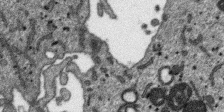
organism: Human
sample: Lung epithelial cells infected with SARS-CoV-2